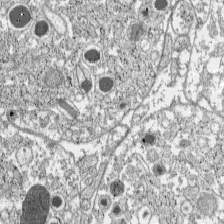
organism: C57BL Mouse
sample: Pancreatic islet